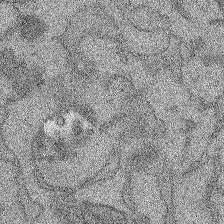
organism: Human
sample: HeLa cells